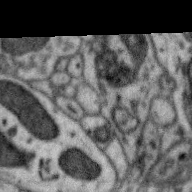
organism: Zebra finch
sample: Brain